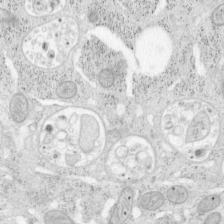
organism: Mouse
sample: OT-I killer T cells with ID8 ovarian cancer cells